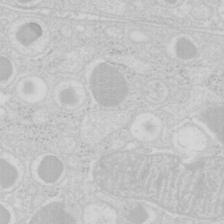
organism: Mouse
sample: Pancreas